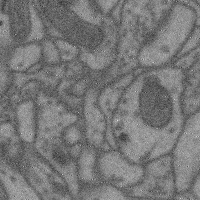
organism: Mouse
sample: Cerebral cortex